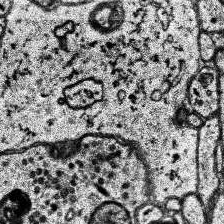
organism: Human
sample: Temporal Lobe